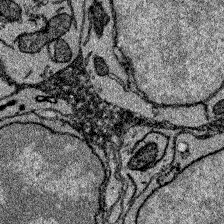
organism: Zebrafish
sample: Larval olfactory bulb